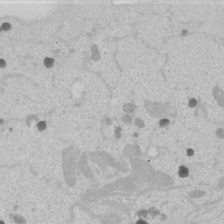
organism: Human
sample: Mitochondria in U2OS cells